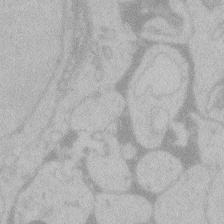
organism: Zebrafish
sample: Macrophage infected with Toxoplasma gondii